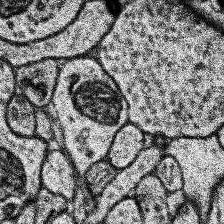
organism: Human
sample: Temporal Lobe